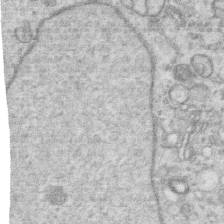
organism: Human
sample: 1205lu cells